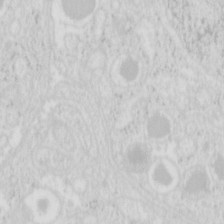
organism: Mouse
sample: Pancreas